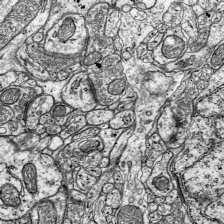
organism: Mouse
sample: Visual Cortex